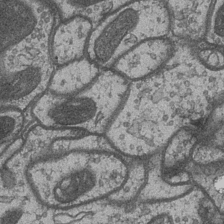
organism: Drosophila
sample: Optic medulla